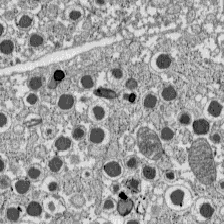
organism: C57BL Mouse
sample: Pancreatic islet